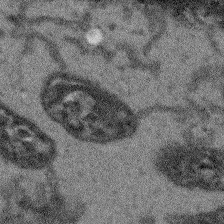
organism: Arabidopsis thaliana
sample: Root tip